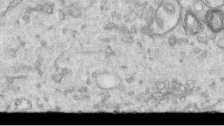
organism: Human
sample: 1205lu cells